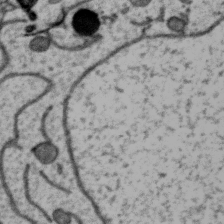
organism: Zebra finch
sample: Brain